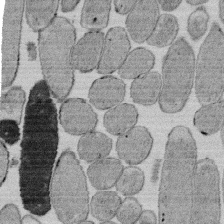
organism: E. coli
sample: Bacterial nucleoid